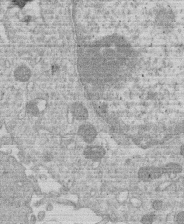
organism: Human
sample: Macrophage cells